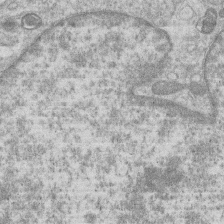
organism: Human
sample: Macrophage cells